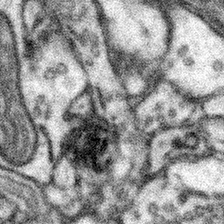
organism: Mouse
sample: Somatosensory cortex neuropil